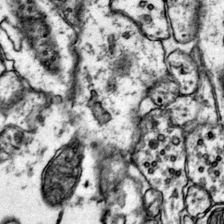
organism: Mouse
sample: Primary visual cortex